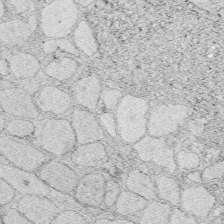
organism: Zebrafish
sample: Whole-Brain